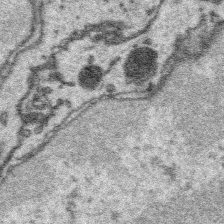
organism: Platynereis dumerilii